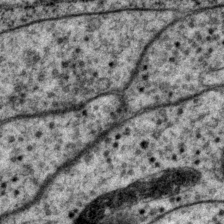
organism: P. pacificus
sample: Pharynx